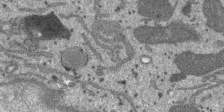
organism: Human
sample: Lung epithelial cells infected with SARS-CoV-2